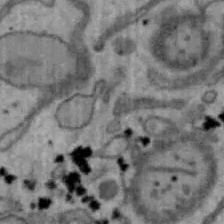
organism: Mouse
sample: Liver